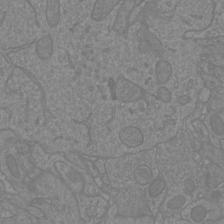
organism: Mouse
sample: Cortical neurons